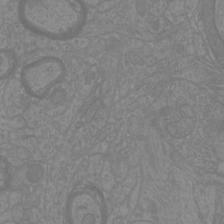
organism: Mouse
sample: Cortical neurons